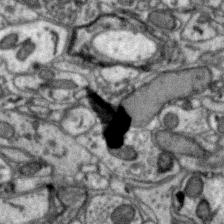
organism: Zebra finch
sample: Brain